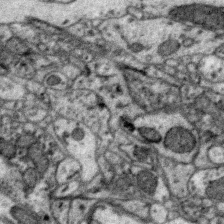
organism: Zebra finch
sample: Brain